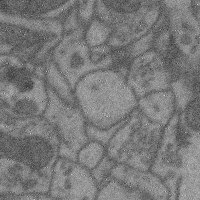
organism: Mouse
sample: Cerebral cortex